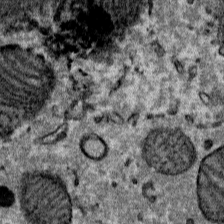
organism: Mouse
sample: Mouse Salivary gland